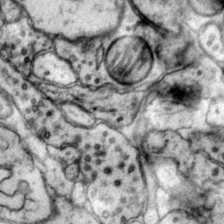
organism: Mouse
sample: Primary visual cortex